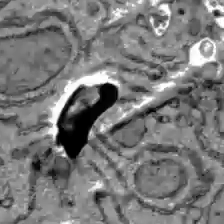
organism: C57BL Mouse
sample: Liver